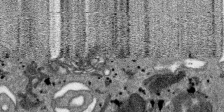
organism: Human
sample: Lung epithelial cells, uninfected (mock) control